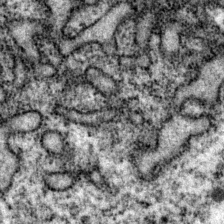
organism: P. pacificus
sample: Pharynx